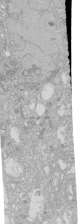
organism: Human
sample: Caco-2 cells